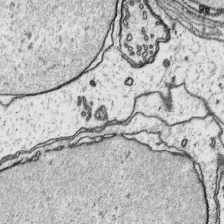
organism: Platynereis dumerilii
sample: Parapodia